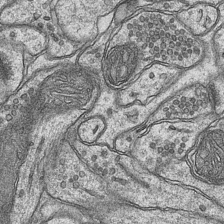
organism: Mouse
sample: CA1 Hippocampus